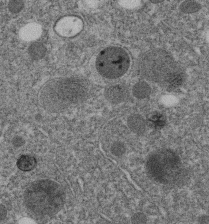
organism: C. elegans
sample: C. elegans embryo early stage